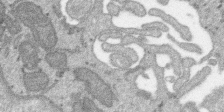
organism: Human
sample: Lung epithelial cells infected with SARS-CoV-2